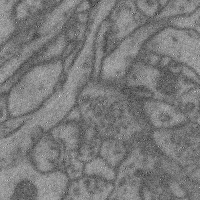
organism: Mouse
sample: Cerebral cortex